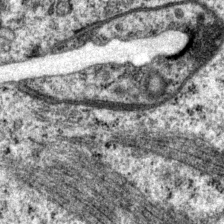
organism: P. pacificus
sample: Pharynx